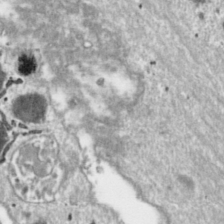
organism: Toxoplasma gondii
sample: Parasites in a vacuole inside a host cell